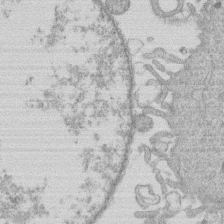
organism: Human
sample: Macrophage cells